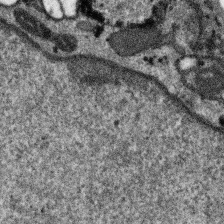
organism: Human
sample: Lung epithelial cells infected with SARS-CoV-2